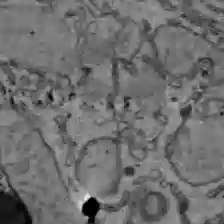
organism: C57BL Mouse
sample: Liver